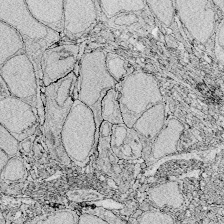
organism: Zebrafish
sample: Whole-Brain